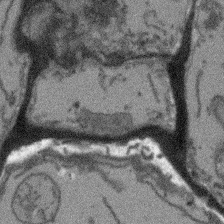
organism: Arabidopsis thaliana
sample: Root tip